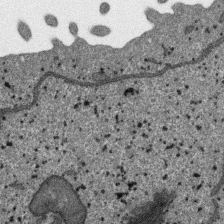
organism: Human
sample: Lung epithelial cells infected with SARS-CoV-2